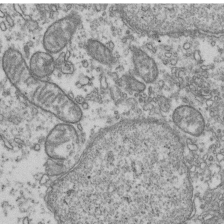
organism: Human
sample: Activated Jurkat CD4+ T cells